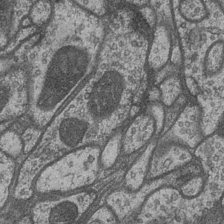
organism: Drosophila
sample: Optic medulla